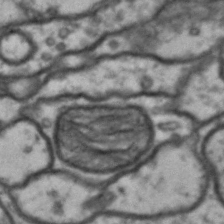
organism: Drosophila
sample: Brain